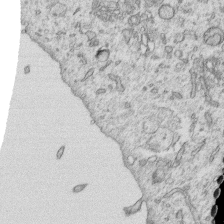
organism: Human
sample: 1205lu cells